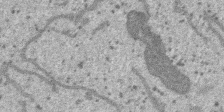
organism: Human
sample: Lung epithelial cells infected with SARS-CoV-2